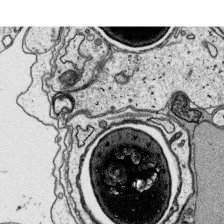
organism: Platynereis dumerilii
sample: Parapodia